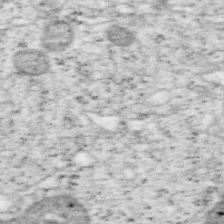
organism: Mouse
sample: OT-I killer T cells with ID8 ovarian cancer cells